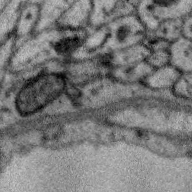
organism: Zebra finch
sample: Brain